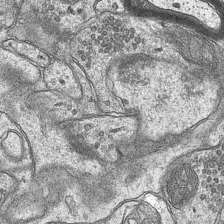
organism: Mouse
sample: CA1 Hippocampus